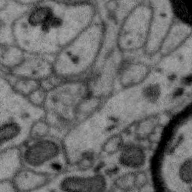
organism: Zebra finch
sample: Brain